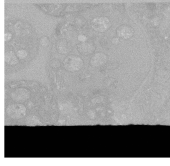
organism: C. elegans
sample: C. elegans oocyte; sperm cells